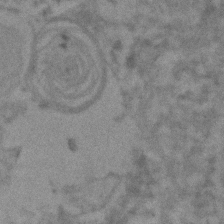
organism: Human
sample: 1205lu cells